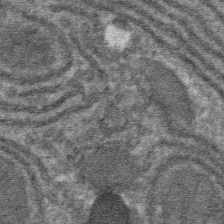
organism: Mouse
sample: Mouse hepatocytes